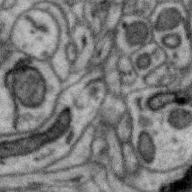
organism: Zebra finch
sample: Brain